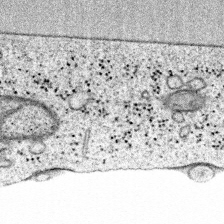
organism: Human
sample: HeLa cells